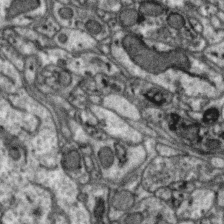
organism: Zebra finch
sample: Brain